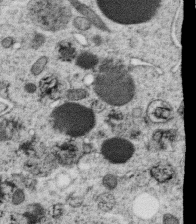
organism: C. elegans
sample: C. elegans oocyte; sperm cells